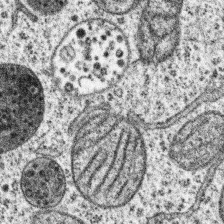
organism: Human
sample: HeLa cells